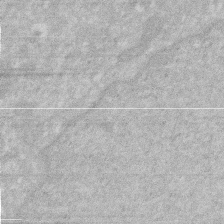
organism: Human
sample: HIV infected U937 cells